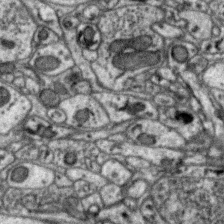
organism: Zebra finch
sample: Brain